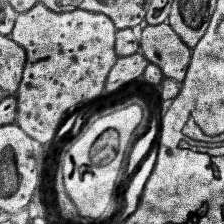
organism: Human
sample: Temporal Lobe